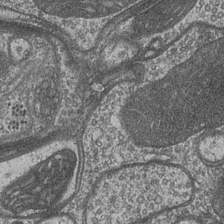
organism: Drosophila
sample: Optic medulla